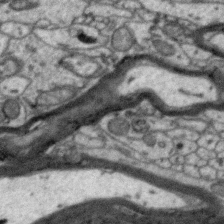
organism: Zebra finch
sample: Brain